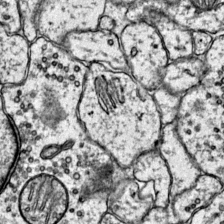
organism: Mouse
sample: Primary visual cortex